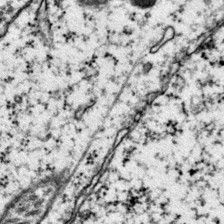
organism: Mouse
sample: Primary visual cortex